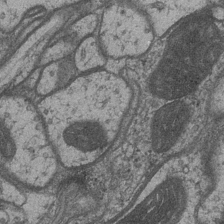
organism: Drosophila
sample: Optic medulla